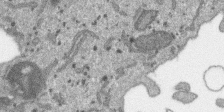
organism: Human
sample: Lung epithelial cells infected with SARS-CoV-2